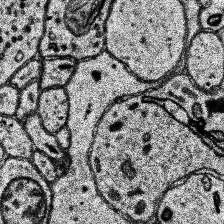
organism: Human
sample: Temporal Lobe